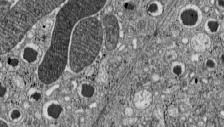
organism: C57BL Mouse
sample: Pancreatic islet